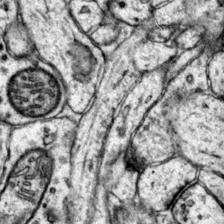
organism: Mouse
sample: Primary visual cortex